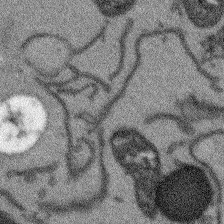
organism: Arabidopsis thaliana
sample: Root tip